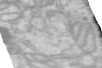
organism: Human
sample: Centriole in RPE cells